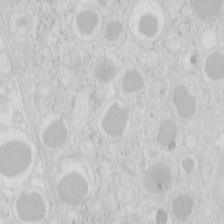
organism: Mouse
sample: Pancreas